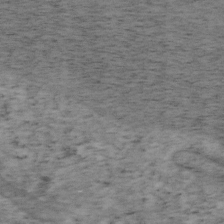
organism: Mouse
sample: OT-I killer T cells with ID8 ovarian cancer cells